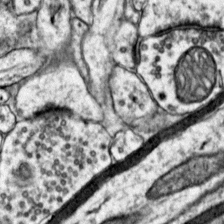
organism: Mouse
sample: Primary visual cortex